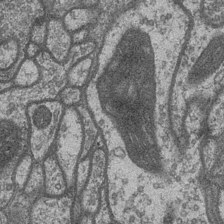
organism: Drosophila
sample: Optic medulla